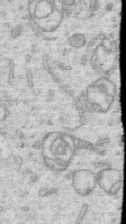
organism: Human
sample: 1205lu cells